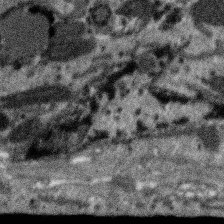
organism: Human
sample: Lung epithelial cells infected with SARS-CoV-2